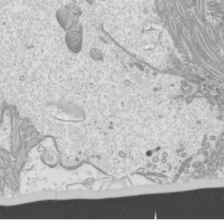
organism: Mouse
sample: Cilia; mouse epididymis